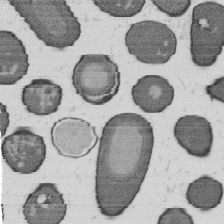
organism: B. subtilis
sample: Bacterial spore